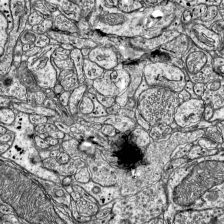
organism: Mouse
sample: Visual Cortex